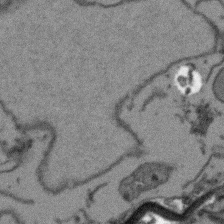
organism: Arabidopsis thaliana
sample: Root tip